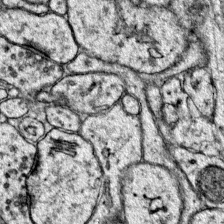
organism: Mouse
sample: Primary visual cortex